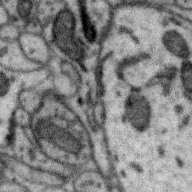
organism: Zebra finch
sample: Brain